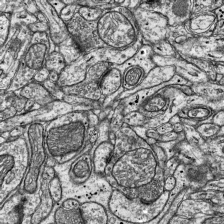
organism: Mouse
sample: Visual Cortex